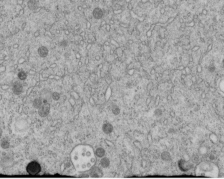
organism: C. elegans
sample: C. elegans embryo early stage